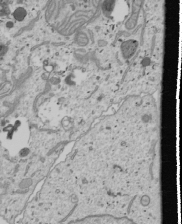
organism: Human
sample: Mitochondria in U2OS cells